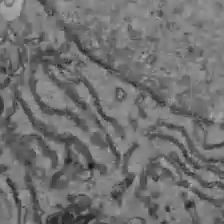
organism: C57BL Mouse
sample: Liver